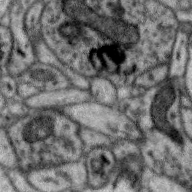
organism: Zebra finch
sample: Brain